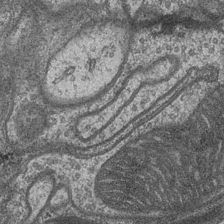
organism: Drosophila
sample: Optic medulla